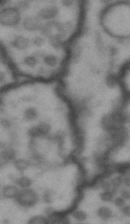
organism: Drosophila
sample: Brain